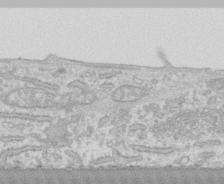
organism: Human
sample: CRL-1474